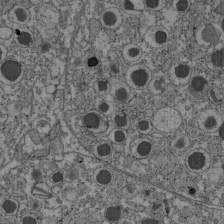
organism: C57BL Mouse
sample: Pancreatic islet